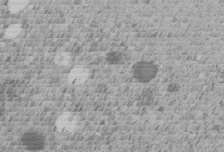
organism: C. elegans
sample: C. elegans embryo early stage